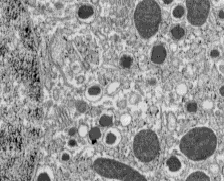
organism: C57BL Mouse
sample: Pancreatic islet